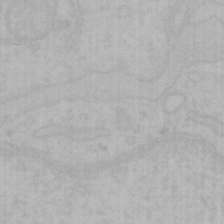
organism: Mouse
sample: Choroid plexus